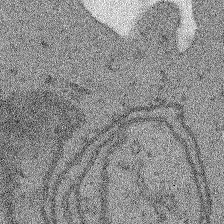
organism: Human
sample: HeLa cells